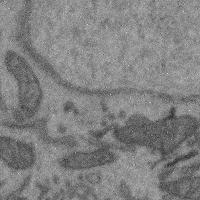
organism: Mouse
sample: Cerebral cortex